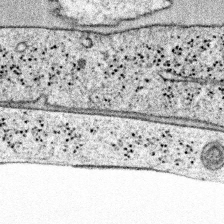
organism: Human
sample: HeLa cells